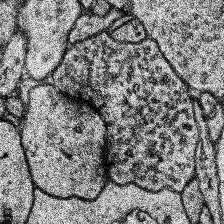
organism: Human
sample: Temporal Lobe